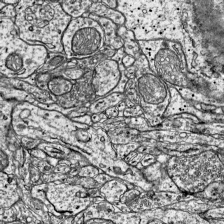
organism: Mouse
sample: Visual Cortex